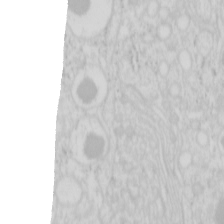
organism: Mouse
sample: Pancreas